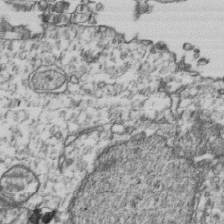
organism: Human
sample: Activated Jurkat CD4+ T cells